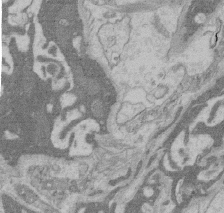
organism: Rat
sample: Salivary granule